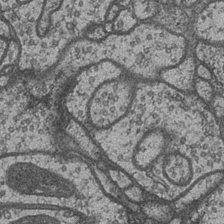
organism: Drosophila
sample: Optic medulla